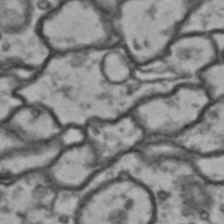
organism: Drosophila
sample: Brain